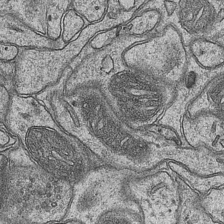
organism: Mouse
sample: CA1 Hippocampus